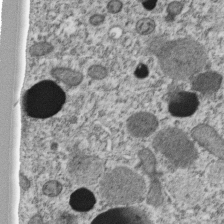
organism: C. elegans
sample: C. elegans embryo early stage